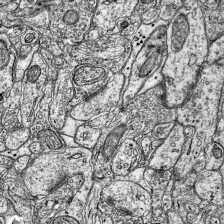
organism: Mouse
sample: Visual Cortex